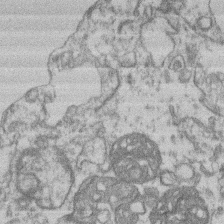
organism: Mouse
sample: T cell stromal cell synapse